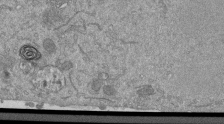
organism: Mouse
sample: ED-1 cell nuclei; centrioles